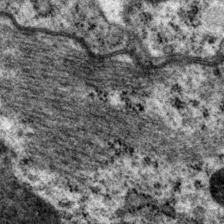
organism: P. pacificus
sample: Pharynx